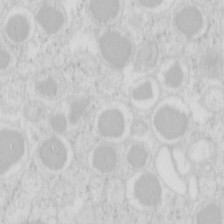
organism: Mouse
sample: Pancreas